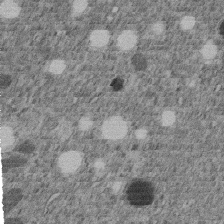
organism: C. elegans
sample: C. elegans embryo early stage